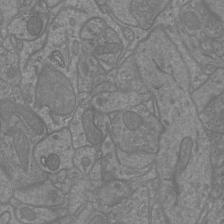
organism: Mouse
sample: Cortical neurons